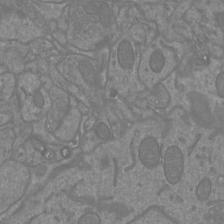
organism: Mouse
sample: Cortical neurons